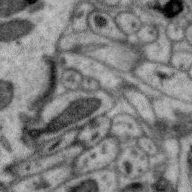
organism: Zebra finch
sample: Brain